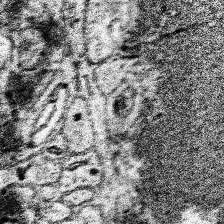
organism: Human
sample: Temporal Lobe